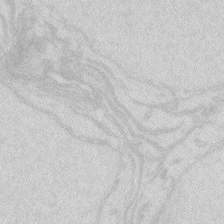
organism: Zebrafish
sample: Macrophage